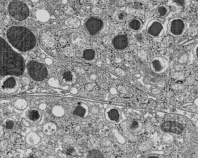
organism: C57BL Mouse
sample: Pancreatic islet